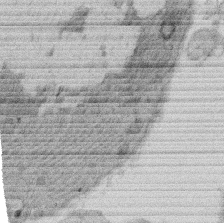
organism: Rat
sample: Salivary granule